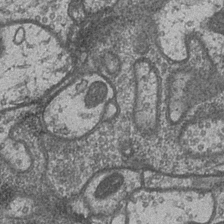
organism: Drosophila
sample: Optic medulla